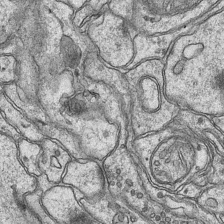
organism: Mouse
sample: CA1 Hippocampus